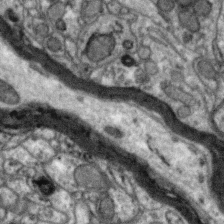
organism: Zebra finch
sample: Brain